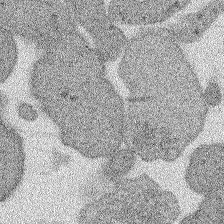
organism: Human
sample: HeLa cells